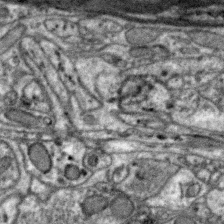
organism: Zebra finch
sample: Brain